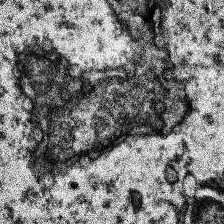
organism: Human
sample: Temporal Lobe